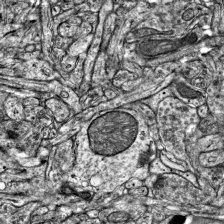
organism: Mouse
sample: Visual Cortex